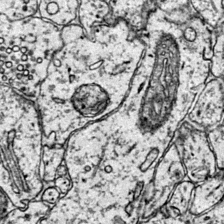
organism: Mouse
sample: Primary visual cortex